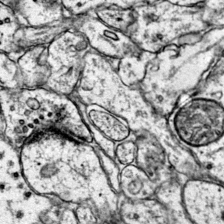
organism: Mouse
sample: Primary visual cortex